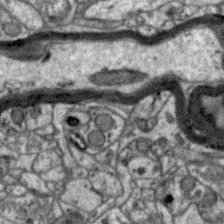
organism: Zebra finch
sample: Brain